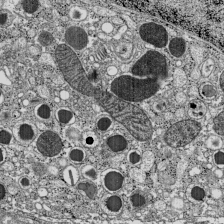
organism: C57BL Mouse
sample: Pancreatic islet